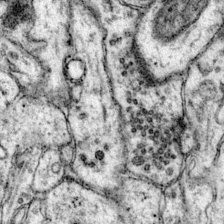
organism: Mouse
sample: Primary visual cortex